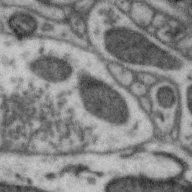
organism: Zebra finch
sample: Brain